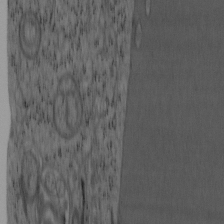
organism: Human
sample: HeLa cells